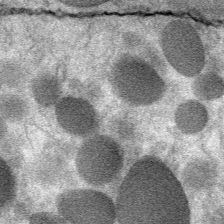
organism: Mouse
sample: Mouse Salivary gland